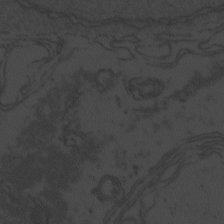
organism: Zebrafish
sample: Macrophage infected with Toxoplasma gondii